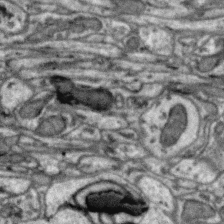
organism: Zebra finch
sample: Brain